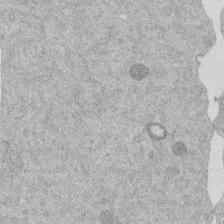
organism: Mouse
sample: Dividing mouse embryo 1 cell stage